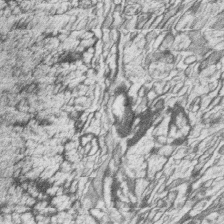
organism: Zebrafish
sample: synaptic ribbons in rod cells and cone cells